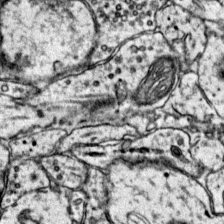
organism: Mouse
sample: Primary visual cortex